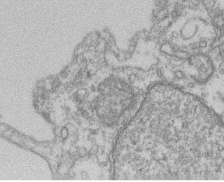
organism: Mouse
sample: T cell stromal cell synapse